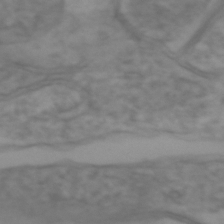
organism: Zebrafish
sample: Zebrafish embryo